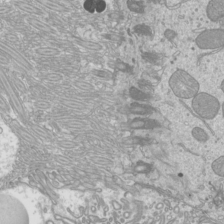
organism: Mouse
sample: Cilia; mouse epididymis